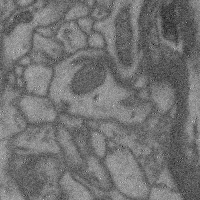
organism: Mouse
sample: Cerebral cortex